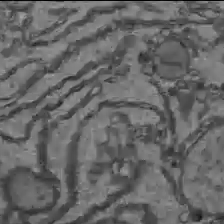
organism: C57BL Mouse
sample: Liver